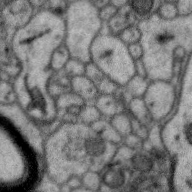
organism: Zebra finch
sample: Brain